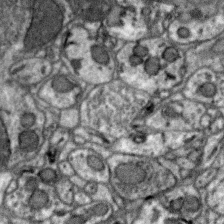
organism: Zebra finch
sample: Brain